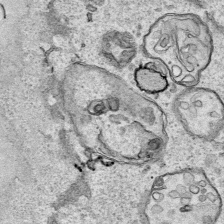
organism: Human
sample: Mitochondria in HCT116 cells